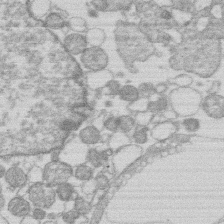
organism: Human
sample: Macrophage cells